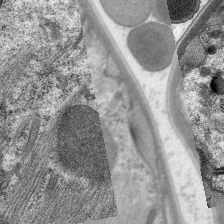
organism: C. elegans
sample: Pharynx